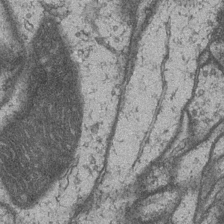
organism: Drosophila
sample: Optic medulla